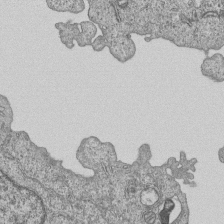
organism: Human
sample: MDA-MB-231 cells